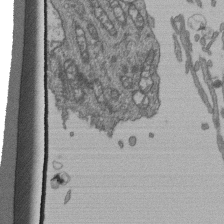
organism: Human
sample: Retinal organoid Rod and Cone cells